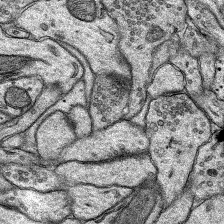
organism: Rat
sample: Hippocampus